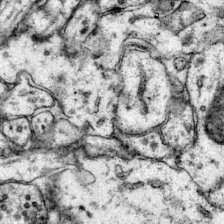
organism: Mouse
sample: Primary visual cortex